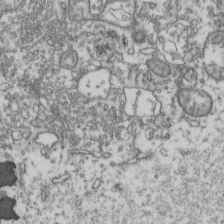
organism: Human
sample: Activated Jurkat CD4+ T cells